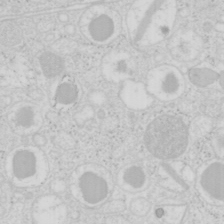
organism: Mouse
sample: Pancreas